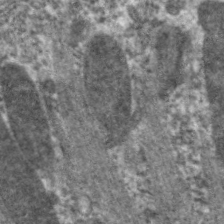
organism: C. elegans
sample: Pharynx